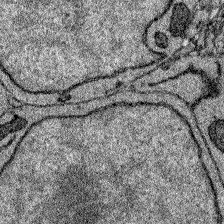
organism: Zebrafish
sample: Larval olfactory bulb